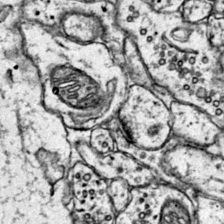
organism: Mouse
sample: Primary visual cortex